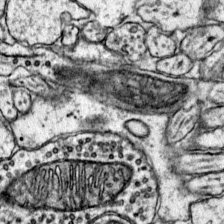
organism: Mouse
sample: Primary visual cortex